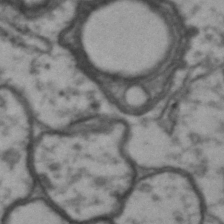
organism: Drosophila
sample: Brain